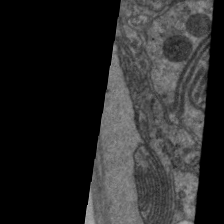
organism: C. elegans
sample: Pharynx